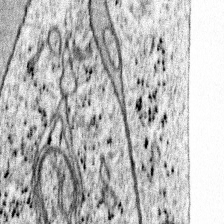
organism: Human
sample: HeLa cells